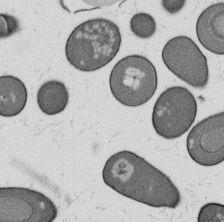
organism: B. subtilis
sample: Bacterial spore